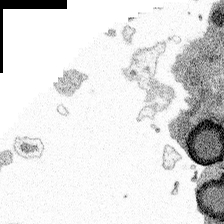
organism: Spongilla lacustris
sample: Multiple